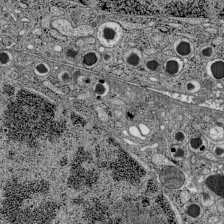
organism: C57BL Mouse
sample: Pancreatic islet